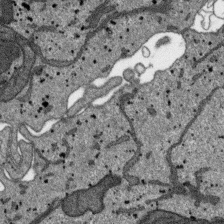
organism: Human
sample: Lung epithelial cells, uninfected (mock) control